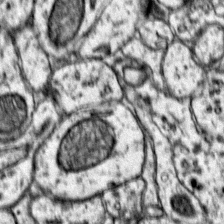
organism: Mouse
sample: Primary visual cortex